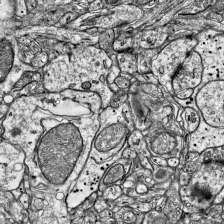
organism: Mouse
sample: Visual Cortex